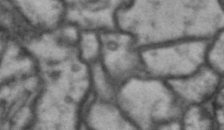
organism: Drosophila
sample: Brain